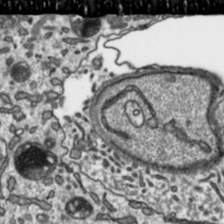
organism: Toxoplasma gondii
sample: Parasites in a vacuole inside a host cell